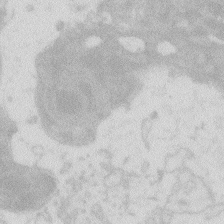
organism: Zebrafish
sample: Macrophage